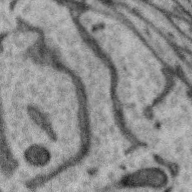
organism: Zebra finch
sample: Brain